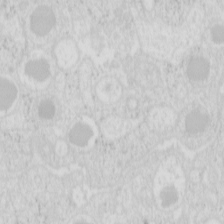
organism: Mouse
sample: Pancreas